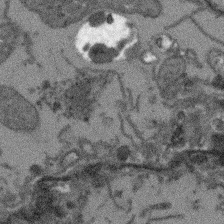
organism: Arabidopsis thaliana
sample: Root tip